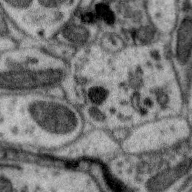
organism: Zebra finch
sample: Brain